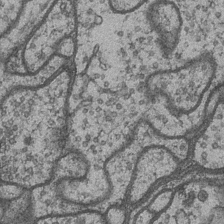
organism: Drosophila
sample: Optic medulla